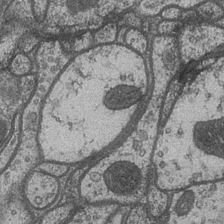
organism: Drosophila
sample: Optic medulla